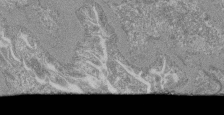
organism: Mouse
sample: Glomerulus